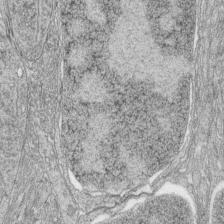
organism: Zebrafish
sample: synaptic ribbons in rod cells and cone cells